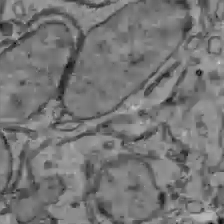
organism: C57BL Mouse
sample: Liver